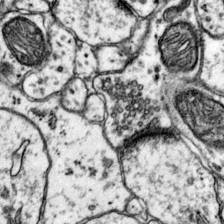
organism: Mouse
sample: Primary visual cortex